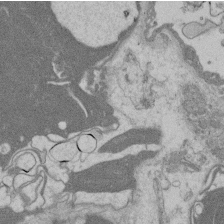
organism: Rat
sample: Salivary granule